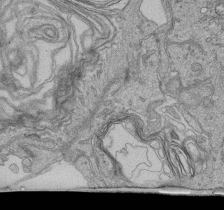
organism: Human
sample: Retinal organoid Rod and Cone cells